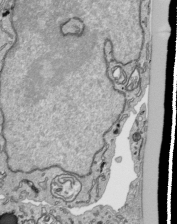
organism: Human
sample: Mitochondria in HCT116 cells